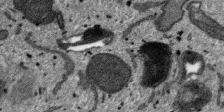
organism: Human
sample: Lung epithelial cells, uninfected (mock) control